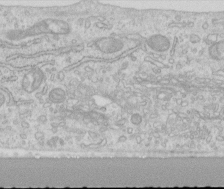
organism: Human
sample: Centriole in RPE cells